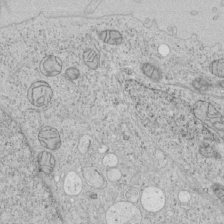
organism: Human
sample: Mitochondria in HCT116 cells